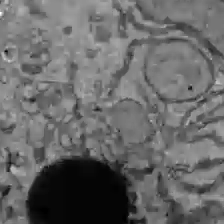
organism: C57BL Mouse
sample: Liver